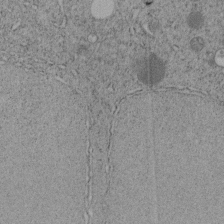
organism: C. elegans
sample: C. elegans embryo early stage